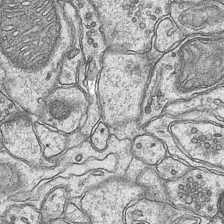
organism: Mouse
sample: CA1 Hippocampus